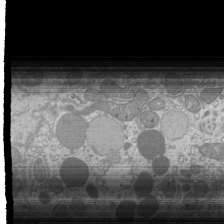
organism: Mouse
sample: Cilia; mouse epididymis